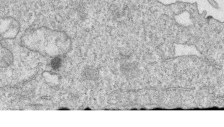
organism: Human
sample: HeLa cell HIV synapse